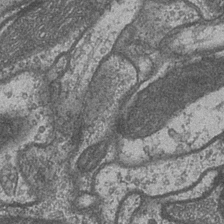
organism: Drosophila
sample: Optic medulla